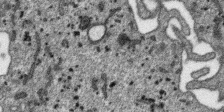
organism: Human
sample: Lung epithelial cells infected with SARS-CoV-2